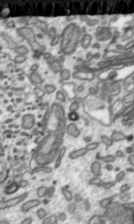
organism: Toxoplasma gondii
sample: Parasites in a vacuole inside a host cell